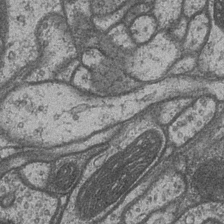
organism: Drosophila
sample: Optic medulla